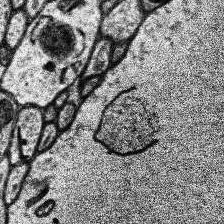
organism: Human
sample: Temporal Lobe